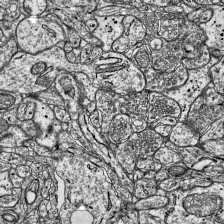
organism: Mouse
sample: Visual Cortex